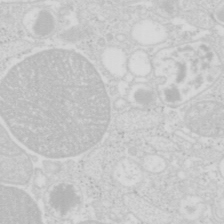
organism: Mouse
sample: Pancreas